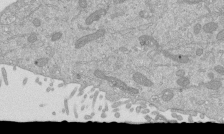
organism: Mouse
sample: ED-1 cell nuclei; centrioles